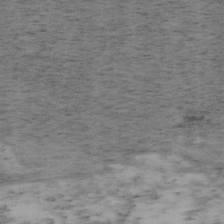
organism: Mouse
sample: OT-I killer T cells with ID8 ovarian cancer cells